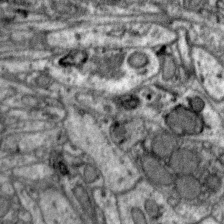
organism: Zebra finch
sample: Brain